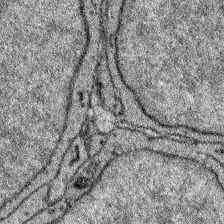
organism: Zebrafish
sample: Larval olfactory bulb